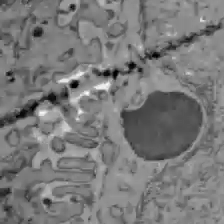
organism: C57BL Mouse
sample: Liver